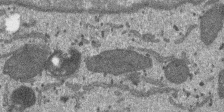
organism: Human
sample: Lung epithelial cells infected with SARS-CoV-2